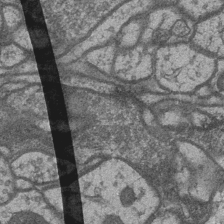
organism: Drosophila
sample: Optic medulla